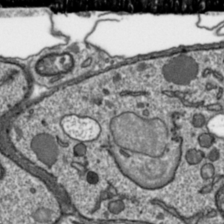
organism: Toxoplasma gondii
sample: Parasites in a vacuole inside a host cell